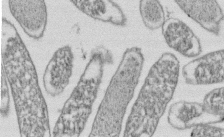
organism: E. coli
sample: Bacterial nucleoid